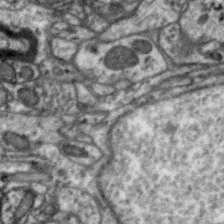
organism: Zebra finch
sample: Brain